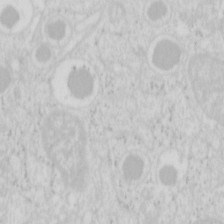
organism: Mouse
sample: Pancreas